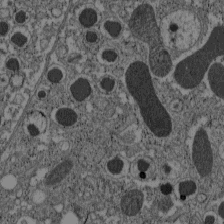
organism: C57BL Mouse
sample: Pancreatic islet